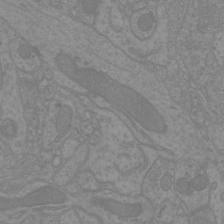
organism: Mouse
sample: Cortical neurons